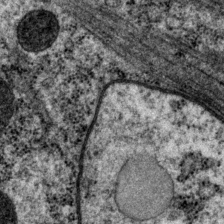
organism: P. pacificus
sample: Pharynx